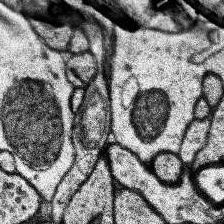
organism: Human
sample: Temporal Lobe